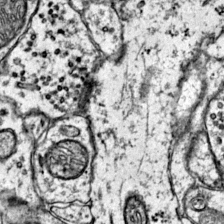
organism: Mouse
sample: Primary visual cortex